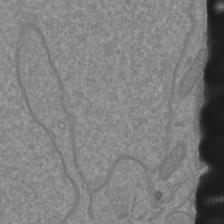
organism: Mouse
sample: Cortical neurons